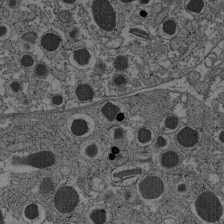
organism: C57BL Mouse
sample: Pancreatic islet